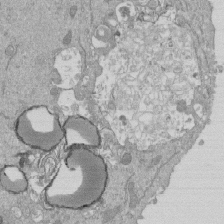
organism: Mouse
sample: ED-1 cell nuclei; centrioles